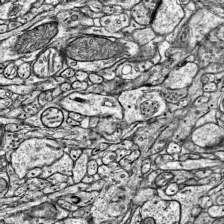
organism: Mouse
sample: Visual Cortex